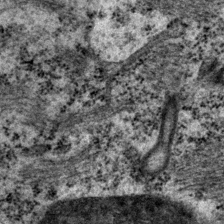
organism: P. pacificus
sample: Pharynx